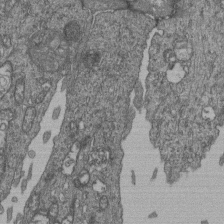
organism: Human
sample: Retinal organoid Rod and Cone cells